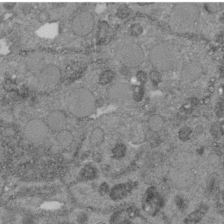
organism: C. elegans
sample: C. elegans embryo early stage